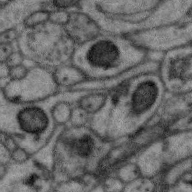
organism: Zebra finch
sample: Brain